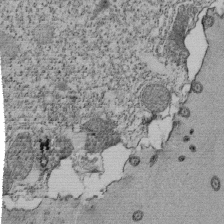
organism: Tetrahymena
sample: Cilia in tetrahymena